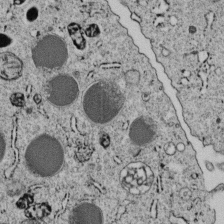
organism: C. elegans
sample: C. elegans embryo early stage